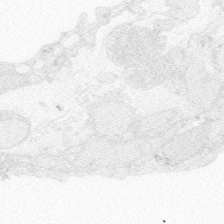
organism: Zebrafish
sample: Whole-Brain